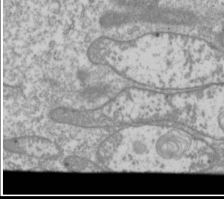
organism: Drosophila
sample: Cell division; meiosis; drosophila spermatocytes